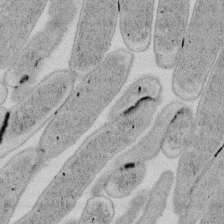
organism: E. coli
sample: Bacterial nucleoid